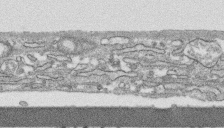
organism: Human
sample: CRL-1474